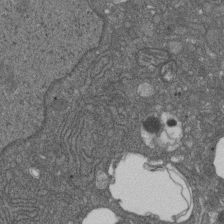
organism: Drosophila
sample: Nephrocyte